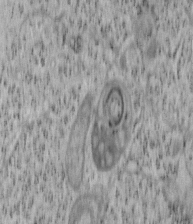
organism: Human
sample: HeLa cells